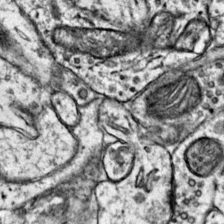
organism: Mouse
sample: Primary visual cortex